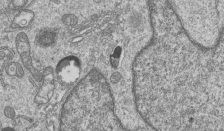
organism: Human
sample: MDA-MB-231 cells